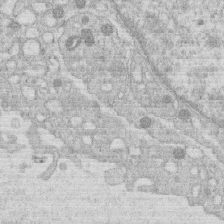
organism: Human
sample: Macrophage cells